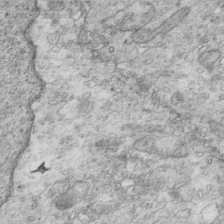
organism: Mouse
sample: Multiciliated cells